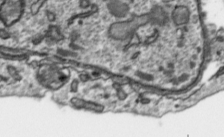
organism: Toxoplasma gondii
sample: Parasites in a vacuole inside a host cell